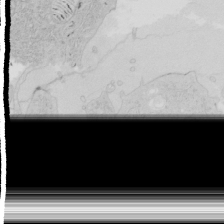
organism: Human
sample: Mitochondria in HCT116 cells